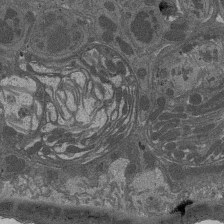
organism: Drosophila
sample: Antenna